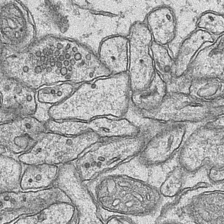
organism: Mouse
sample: CA1 Hippocampus